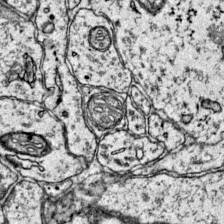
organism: Mouse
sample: Primary visual cortex